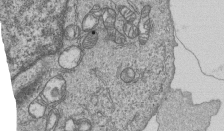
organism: Human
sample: MDA-MB-231 cells